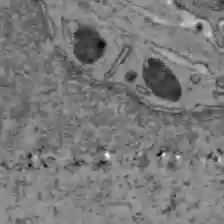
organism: C57BL Mouse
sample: Liver